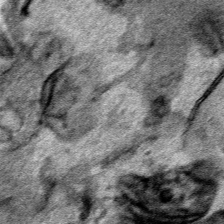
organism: Human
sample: Mitochondria in HCT116 cells